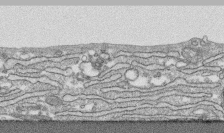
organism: Human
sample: CRL-1474